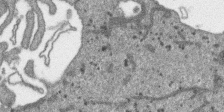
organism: Human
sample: Lung epithelial cells infected with SARS-CoV-2